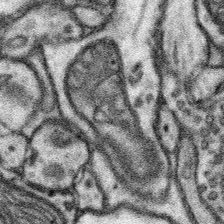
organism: Mouse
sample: Somatosensory cortex neuropil